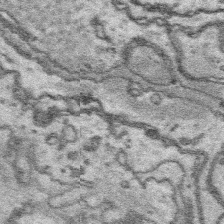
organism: Platynereis dumerilii